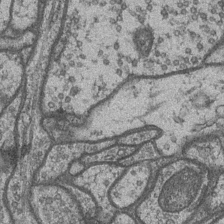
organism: Drosophila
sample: Optic medulla